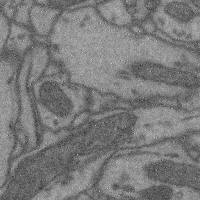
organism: Mouse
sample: Cerebral cortex